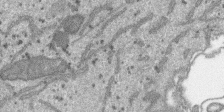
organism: Human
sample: Lung epithelial cells infected with SARS-CoV-2